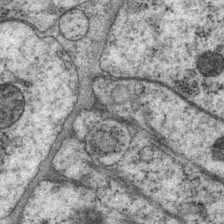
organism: P. pacificus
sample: Pharynx